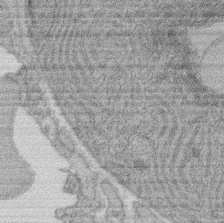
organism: Rat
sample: Salivary granule